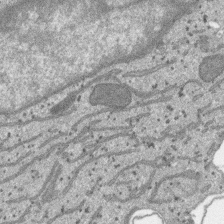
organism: Human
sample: Lung epithelial cells infected with SARS-CoV-2